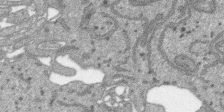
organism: Human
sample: Lung epithelial cells infected with SARS-CoV-2